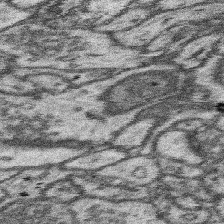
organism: Mouse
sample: Somatosensory cortex neuropil